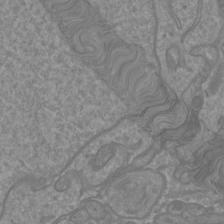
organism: Mouse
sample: Cortical neurons